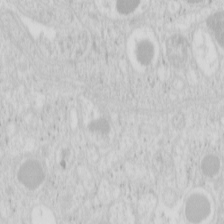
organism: Mouse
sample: Pancreas